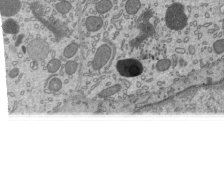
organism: Mouse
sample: Mouse epididymis efferent ductule cilia